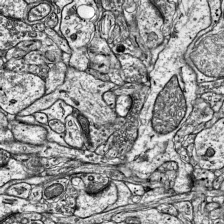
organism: Mouse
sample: Visual Cortex